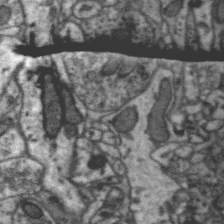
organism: Zebra finch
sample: Brain